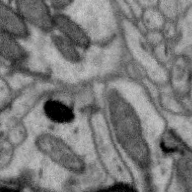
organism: Zebra finch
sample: Brain